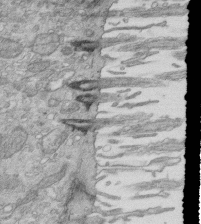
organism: Mouse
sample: Multiciliated cells